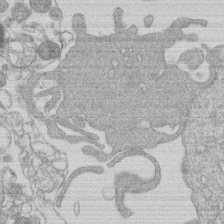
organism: Human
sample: Macrophage cells